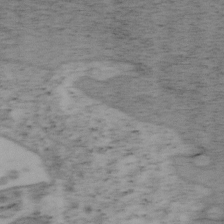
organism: Mouse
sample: OT-I killer T cells with ID8 ovarian cancer cells